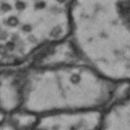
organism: Drosophila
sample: Brain